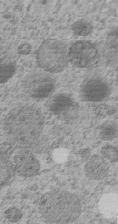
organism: C. elegans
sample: C. elegans embryo early stage